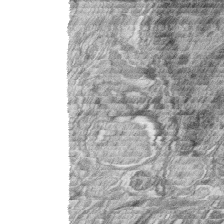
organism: Zebrafish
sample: synaptic ribbons in rod cells and cone cells